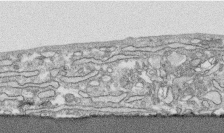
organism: Human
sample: CRL-1474